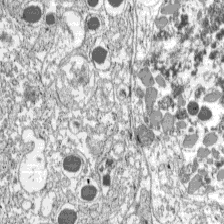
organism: C57BL Mouse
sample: Pancreatic islet